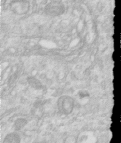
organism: Human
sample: Centriole in RPE cells